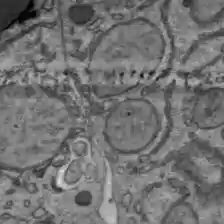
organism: C57BL Mouse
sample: Liver